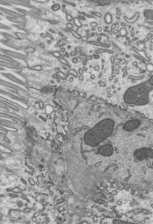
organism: Mouse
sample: Mouse epididymis efferent ductule cilia